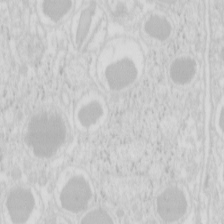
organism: Mouse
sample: Pancreas